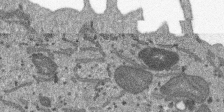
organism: Human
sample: Lung epithelial cells infected with SARS-CoV-2